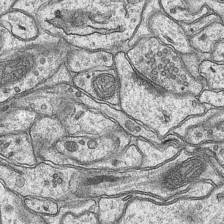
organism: Mouse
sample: CA1 Hippocampus